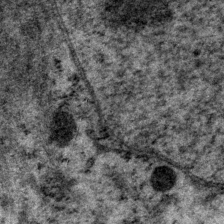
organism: P. pacificus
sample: Pharynx